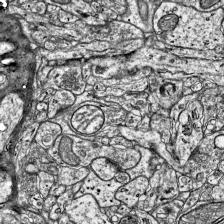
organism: Mouse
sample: Visual Cortex